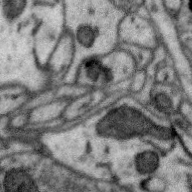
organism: Zebra finch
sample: Brain